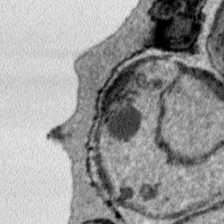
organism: Plasmodium falciparum